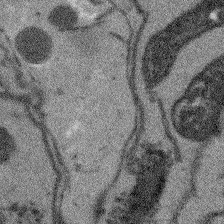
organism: Arabidopsis thaliana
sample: Root tip